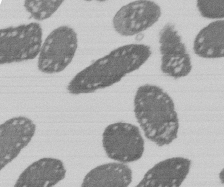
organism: E. coli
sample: Bacterial nucleoid